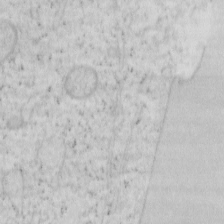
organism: Human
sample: HeLa cells